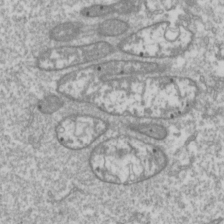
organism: Drosophila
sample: Cell division; meiosis; drosophila spermatocytes